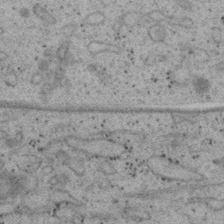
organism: Human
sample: HeLa cells